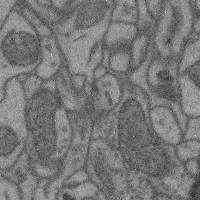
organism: Mouse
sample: Cerebral cortex